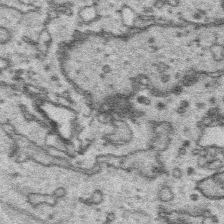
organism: Platynereis dumerilii